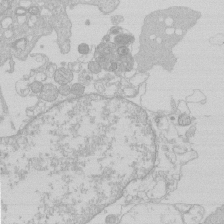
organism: Human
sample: Macrophage cells